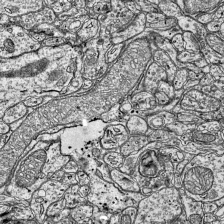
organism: Mouse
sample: Visual Cortex